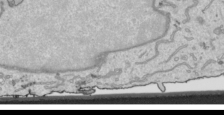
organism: Human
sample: Mitochondria in HCT116 cells